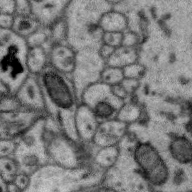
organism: Zebra finch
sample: Brain